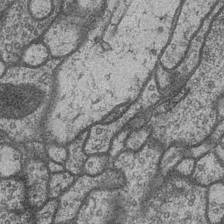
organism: Drosophila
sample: Optic medulla